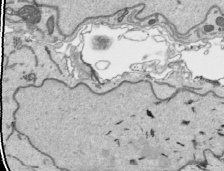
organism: Human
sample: Mitochondria in HCT116 cells